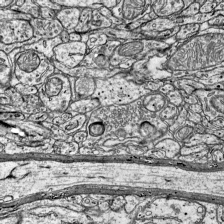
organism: Mouse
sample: Visual Cortex